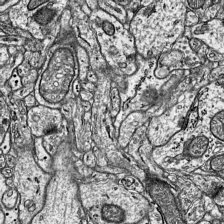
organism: Mouse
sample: Visual Cortex